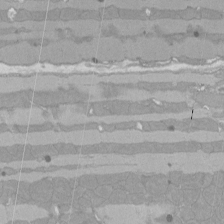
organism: Rat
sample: Left ventricle